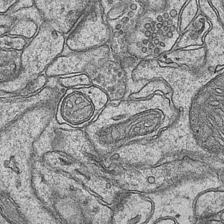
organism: Mouse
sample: CA1 Hippocampus